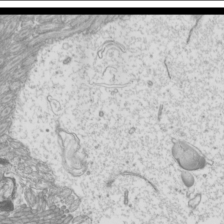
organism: Mouse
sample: Cilia; mouse epididymis